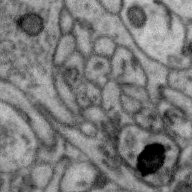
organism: Zebra finch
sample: Brain